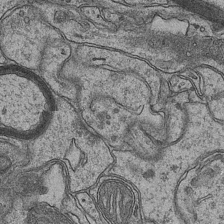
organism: Mouse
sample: CA1 Hippocampus